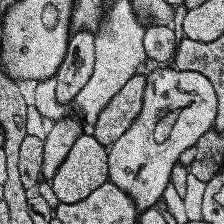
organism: Human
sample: Temporal Lobe